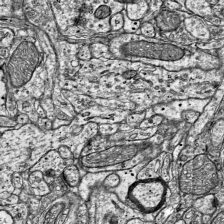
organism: Mouse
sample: Visual Cortex